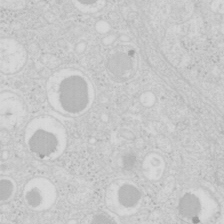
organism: Mouse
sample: Pancreas